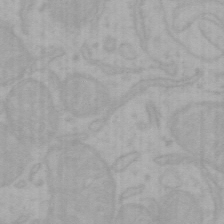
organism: Mouse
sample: Choroid plexus